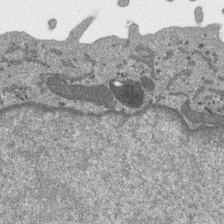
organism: Human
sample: Lung epithelial cells infected with SARS-CoV-2